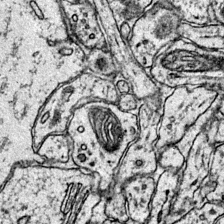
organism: Mouse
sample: Primary visual cortex